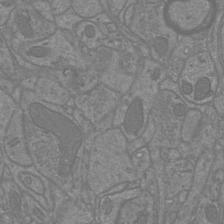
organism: Mouse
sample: Cortical neurons